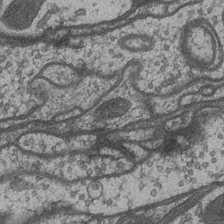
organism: Drosophila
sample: Optic medulla